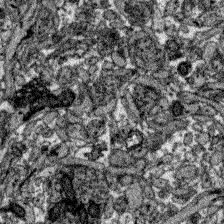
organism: Zebrafish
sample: Larval olfactory bulb